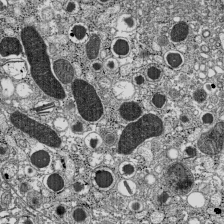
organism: C57BL Mouse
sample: Pancreatic islet